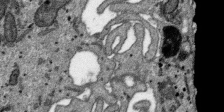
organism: Human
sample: Lung epithelial cells, uninfected (mock) control